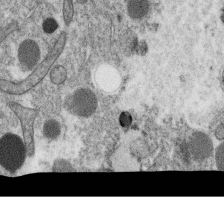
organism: C. elegans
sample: C. elegans oocyte; sperm cells